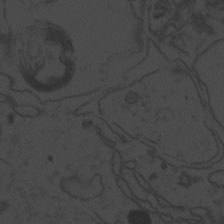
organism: Zebrafish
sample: Macrophage infected with Toxoplasma gondii